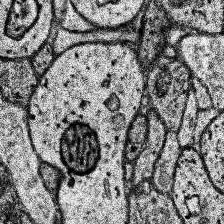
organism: Human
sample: Temporal Lobe